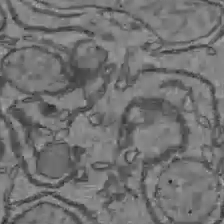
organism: C57BL Mouse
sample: Liver